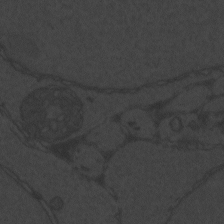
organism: Zebrafish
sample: Macrophage infected with Toxoplasma gondii